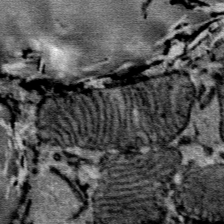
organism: Mouse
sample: Mouse Salivary gland